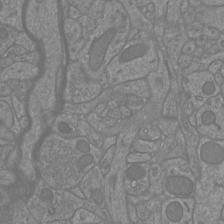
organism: Mouse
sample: Cortical neurons